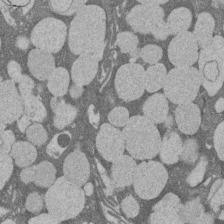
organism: Rat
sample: Salivary granule